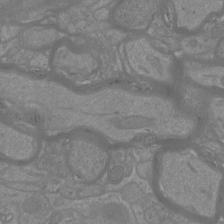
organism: Mouse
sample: Cortical neurons